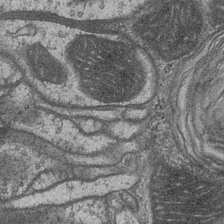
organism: Drosophila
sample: Optic medulla